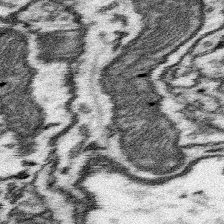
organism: Mouse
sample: Somatosensory cortex neuropil